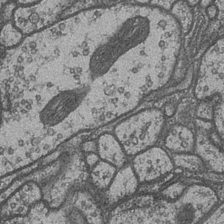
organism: Drosophila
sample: Optic medulla